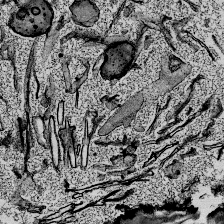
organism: Mouse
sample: Mouse Salivary gland